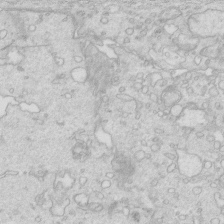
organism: Mouse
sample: Multiciliated cells